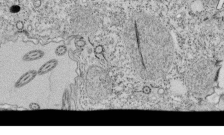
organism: Tetrahymena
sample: Cilia in tetrahymena